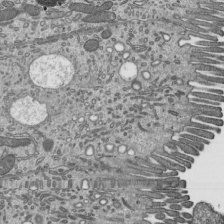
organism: Mouse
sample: Mouse epididymis efferent ductule cilia